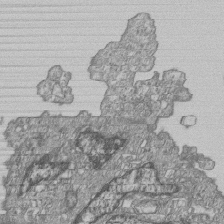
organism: Human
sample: MDA-MB-231 cells